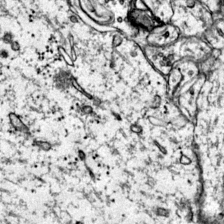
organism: Mouse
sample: Primary visual cortex